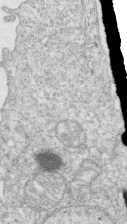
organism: Human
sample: HeLa cell HIV synapse